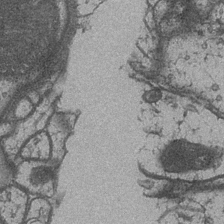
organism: Drosophila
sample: Optic medulla